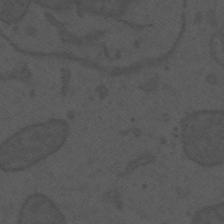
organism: Mouse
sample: Suprachiasmatic nucleus